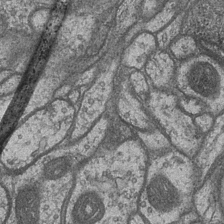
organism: Drosophila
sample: Optic medulla